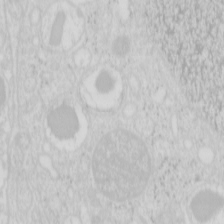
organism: Mouse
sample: Pancreas